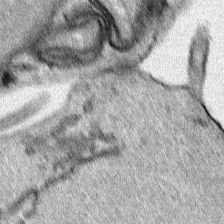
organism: Human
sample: Mitochondria in HCT116 cells